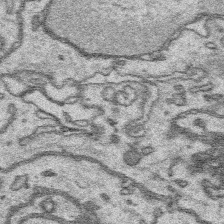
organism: Platynereis dumerilii